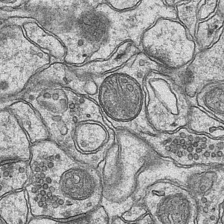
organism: Mouse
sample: CA1 Hippocampus